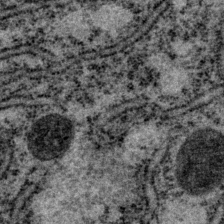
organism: P. pacificus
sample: Pharynx